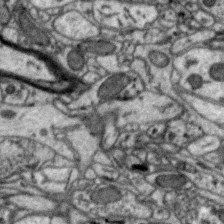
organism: Zebra finch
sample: Brain